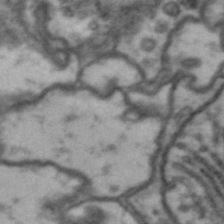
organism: Drosophila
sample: Brain